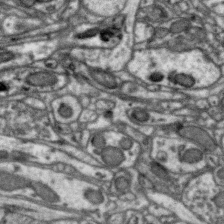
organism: Zebra finch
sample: Brain